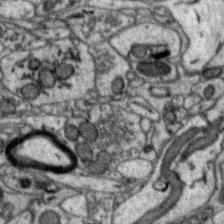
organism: Zebra finch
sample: Brain